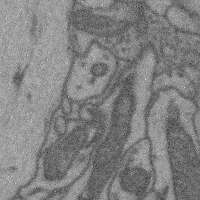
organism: Mouse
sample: Cerebral cortex